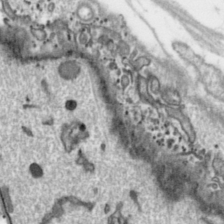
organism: Toxoplasma gondii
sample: Parasites in a vacuole inside a host cell